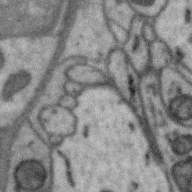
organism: Zebra finch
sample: Brain